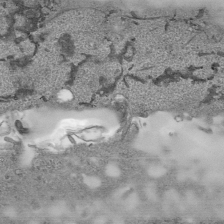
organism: Human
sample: Mitochondria in HCT116 cells